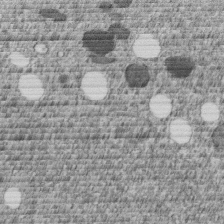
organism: C. elegans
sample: C. elegans embryo early stage